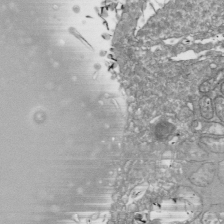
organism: Drosophila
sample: Cell division; meiosis; drosophila spermatocytes